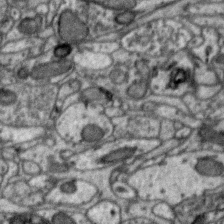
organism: Zebra finch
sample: Brain